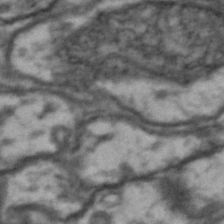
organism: Drosophila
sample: Brain